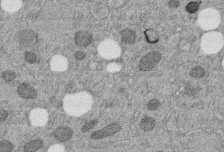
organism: C. elegans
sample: C. elegans embryo early stage